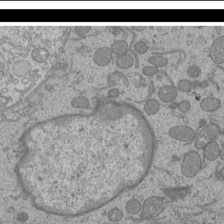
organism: Mouse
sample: Cilia; mouse epididymis